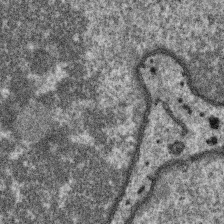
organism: Human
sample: Lung epithelial cells infected with SARS-CoV-2